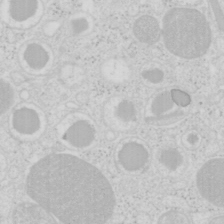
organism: Mouse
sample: Pancreas